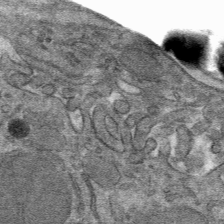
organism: Mouse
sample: Mouse hepatocytes